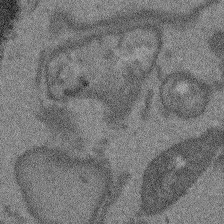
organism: Arabidopsis thaliana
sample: Root tip